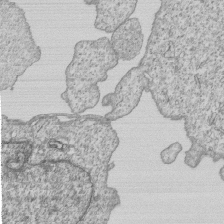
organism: Human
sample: MDA-MB-231 cells